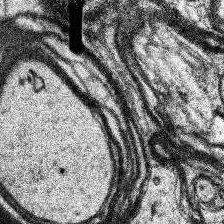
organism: Human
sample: Temporal Lobe